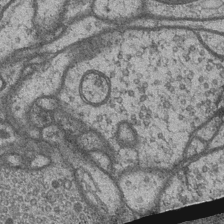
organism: Drosophila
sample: Optic medulla